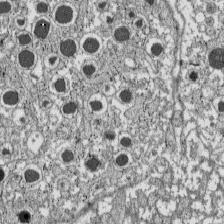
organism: C57BL Mouse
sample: Pancreatic islet